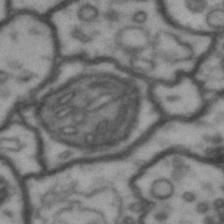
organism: Drosophila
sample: Brain